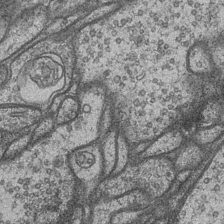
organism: Drosophila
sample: Optic medulla